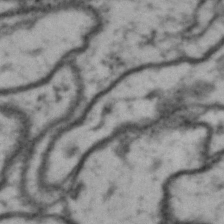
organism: Drosophila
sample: Brain